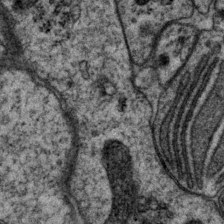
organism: P. pacificus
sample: Pharynx